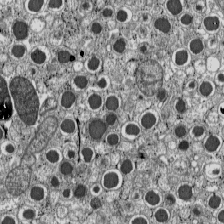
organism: C57BL Mouse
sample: Pancreatic islet